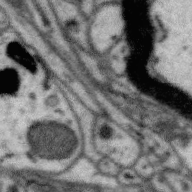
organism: Zebra finch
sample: Brain